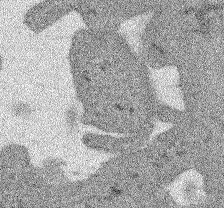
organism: Human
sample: HeLa cells